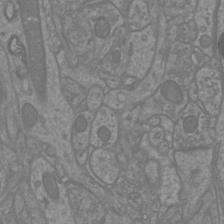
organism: Mouse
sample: Cortical neurons